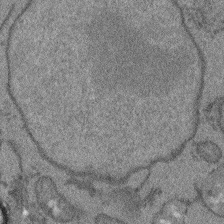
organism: Arabidopsis thaliana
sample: Root tip